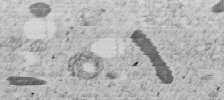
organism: C. elegans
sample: C. elegans embryo early stage